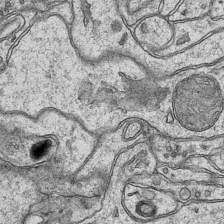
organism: Mouse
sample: CA1 Hippocampus